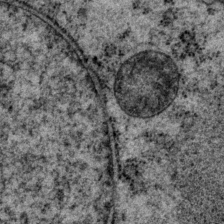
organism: P. pacificus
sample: Pharynx